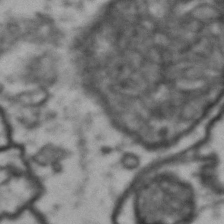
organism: Drosophila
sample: Brain